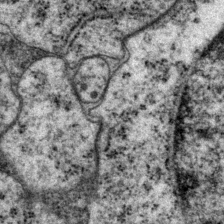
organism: P. pacificus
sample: Pharynx